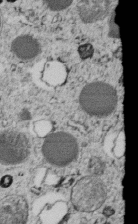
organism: C. elegans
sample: C. elegans embryo early stage